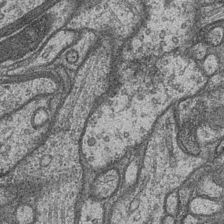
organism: Drosophila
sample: Optic medulla